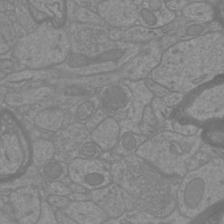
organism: Mouse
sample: Cortical neurons